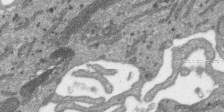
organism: Human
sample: Lung epithelial cells infected with SARS-CoV-2